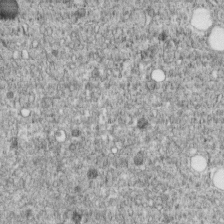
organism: C. elegans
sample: C. elegans embryo early stage